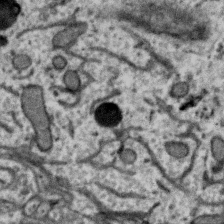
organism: Zebra finch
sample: Brain